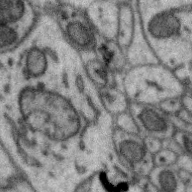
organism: Zebra finch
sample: Brain